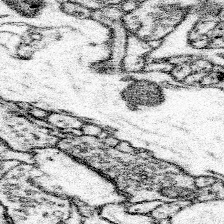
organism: Mouse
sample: Somatosensory cortex neuropil